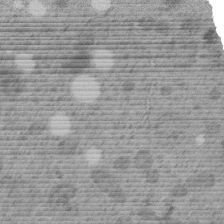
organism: C. elegans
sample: C. elegans embryo early stage